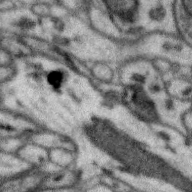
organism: Zebra finch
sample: Brain